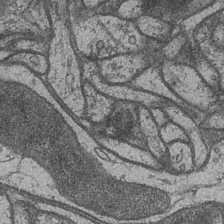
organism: Drosophila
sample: Optic medulla